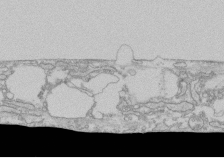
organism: Human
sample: CRL-1474